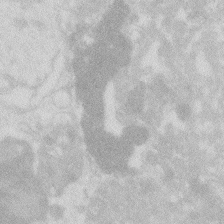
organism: Zebrafish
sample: Macrophage